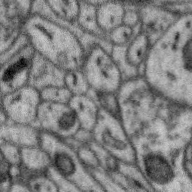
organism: Zebra finch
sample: Brain